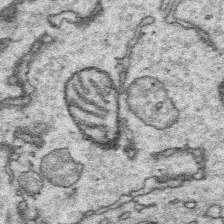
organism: Platynereis dumerilii